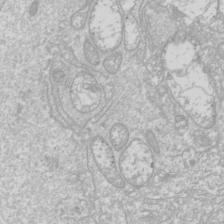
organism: Drosophila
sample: Cell division; meiosis; drosophila spermatocytes